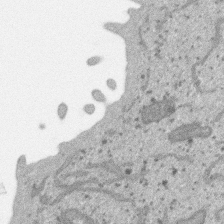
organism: Human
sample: Lung epithelial cells infected with SARS-CoV-2